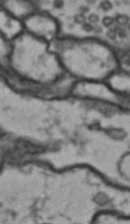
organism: Drosophila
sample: Brain